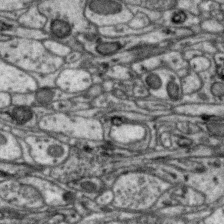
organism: Zebra finch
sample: Brain